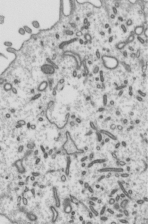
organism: Mouse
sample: Mouse epididymis efferent ductule cilia